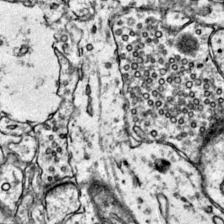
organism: Mouse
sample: Primary visual cortex